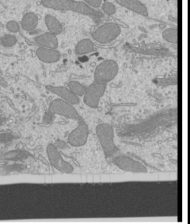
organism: Mouse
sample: Cilia; mouse epididymis